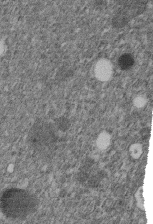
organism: C. elegans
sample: C. elegans embryo early stage